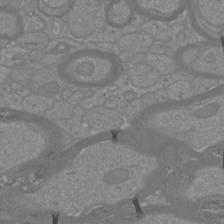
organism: Mouse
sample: Cortical neurons